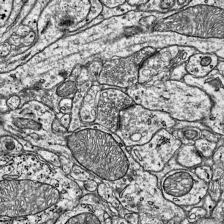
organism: Mouse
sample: Visual Cortex